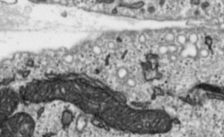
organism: Toxoplasma gondii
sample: Parasites in a vacuole inside a host cell